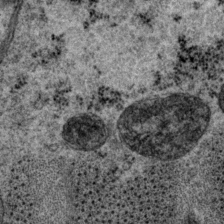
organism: P. pacificus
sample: Pharynx